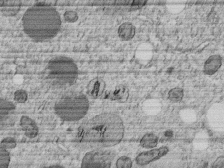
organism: C. elegans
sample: C. elegans embryo early stage